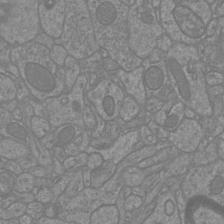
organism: Mouse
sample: Cortical neurons